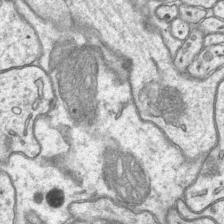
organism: Mouse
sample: CA1 Hippocampus